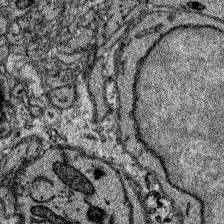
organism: Zebrafish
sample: Larval olfactory bulb